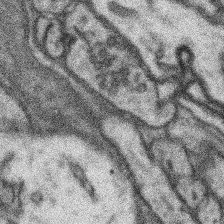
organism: Mouse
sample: Somatosensory cortex neuropil